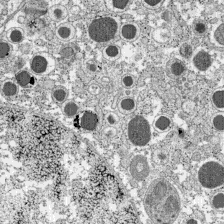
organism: C57BL Mouse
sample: Pancreatic islet